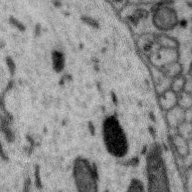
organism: Zebra finch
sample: Brain